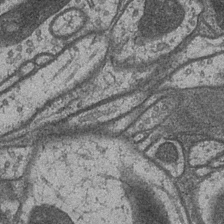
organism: Drosophila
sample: Optic medulla